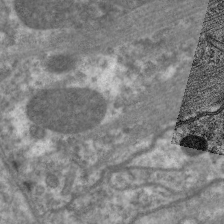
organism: C. elegans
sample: Pharynx